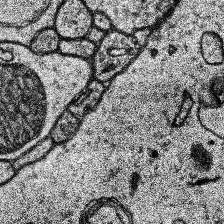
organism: Human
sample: Temporal Lobe